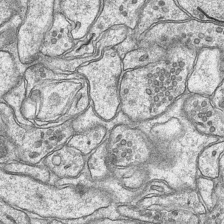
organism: Mouse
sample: CA1 Hippocampus